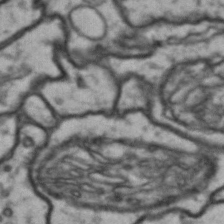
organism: Drosophila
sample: Brain